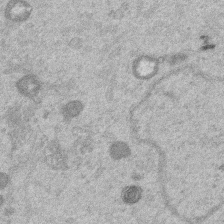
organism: Mouse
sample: Dividing mouse embryo 1 cell stage